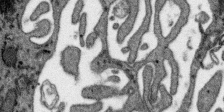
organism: Human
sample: Lung epithelial cells, uninfected (mock) control